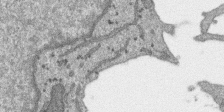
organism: Human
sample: Lung epithelial cells infected with SARS-CoV-2